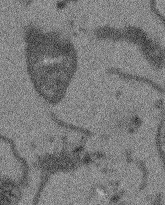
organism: Arabidopsis thaliana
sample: Root tip